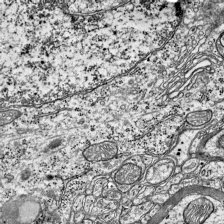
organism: Mouse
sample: Visual Cortex